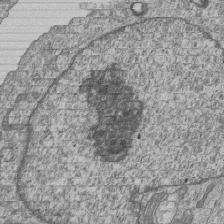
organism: Human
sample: MDA-MB-231 cells